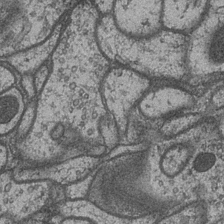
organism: Drosophila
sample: Optic medulla